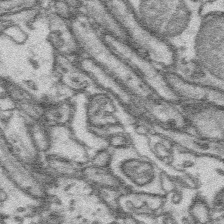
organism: Platynereis dumerilii